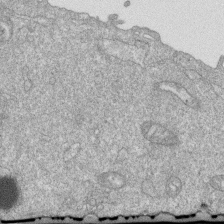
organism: Human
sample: HeLa cell HIV synapse